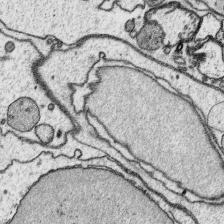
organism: Platynereis dumerilii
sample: Parapodia